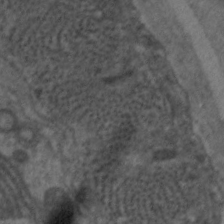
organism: C. elegans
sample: Pharynx